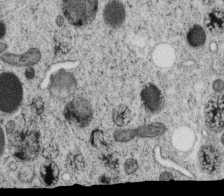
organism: C. elegans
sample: C. elegans oocyte; sperm cells